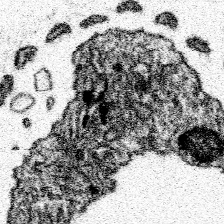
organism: Spongilla lacustris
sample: Neuroid cell